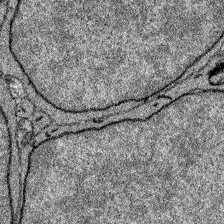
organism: Zebrafish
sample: Larval olfactory bulb